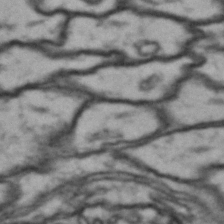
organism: Drosophila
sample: Brain